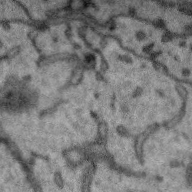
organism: Zebra finch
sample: Brain